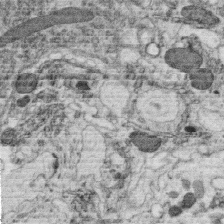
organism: C. elegans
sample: C. elegans oocyte; sperm cells